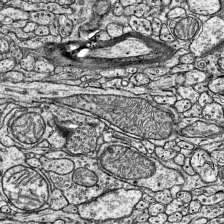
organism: Mouse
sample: Visual Cortex